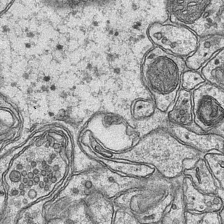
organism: Mouse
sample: CA1 Hippocampus